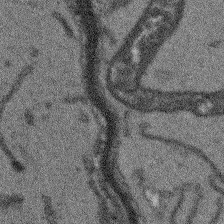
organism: Arabidopsis thaliana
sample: Root tip